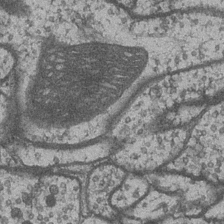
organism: Drosophila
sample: Optic medulla